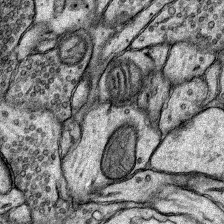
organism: Rat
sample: Hippocampus